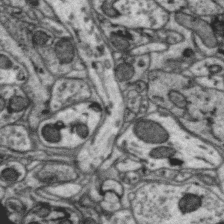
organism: Zebra finch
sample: Brain